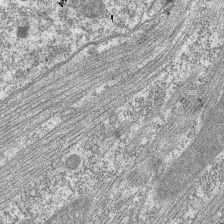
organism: C. elegans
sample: Pharynx